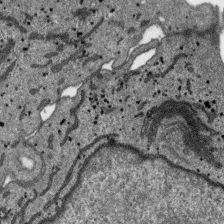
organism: Human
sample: Lung epithelial cells, uninfected (mock) control